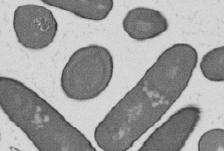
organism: B. subtilis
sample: Bacterial spore